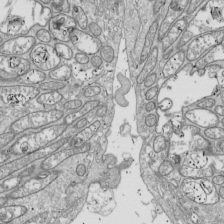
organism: Drosophila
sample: Cell division; meiosis; drosophila spermatocytes